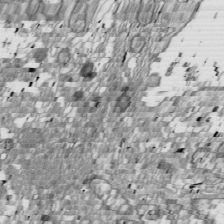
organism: Drosophila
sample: Cell division; meiosis; drosophila spermatocytes